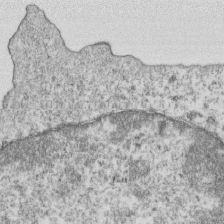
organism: Mouse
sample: Activated OT-1 CD8+ T cells